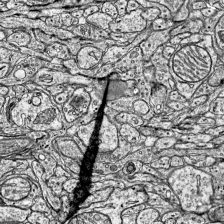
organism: Mouse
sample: Visual Cortex